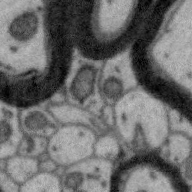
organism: Zebra finch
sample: Brain